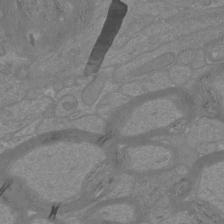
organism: Mouse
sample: Cortical neurons